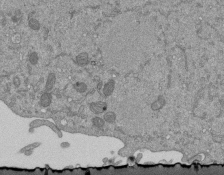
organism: Mouse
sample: ED-1 cell nuclei; centrioles